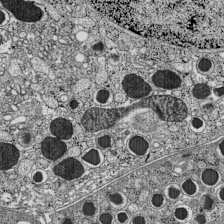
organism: C57BL Mouse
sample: Pancreatic islet